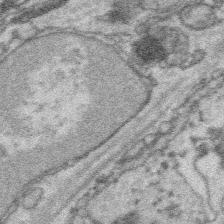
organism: Platynereis dumerilii